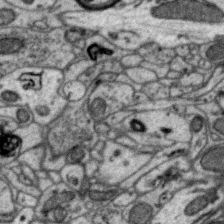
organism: Zebra finch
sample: Brain